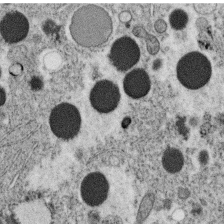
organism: C. elegans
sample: C. elegans oocyte; sperm cells